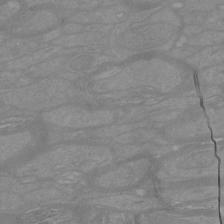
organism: Mouse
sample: Cortical neurons